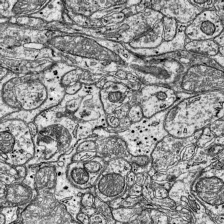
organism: Mouse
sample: Visual Cortex